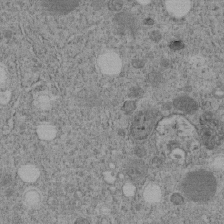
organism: C. elegans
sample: C. elegans embryo early stage